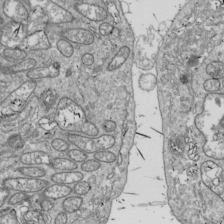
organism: Drosophila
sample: Cell division; meiosis; drosophila spermatocytes